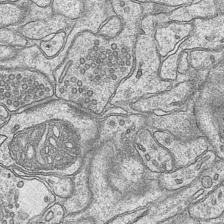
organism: Mouse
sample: CA1 Hippocampus